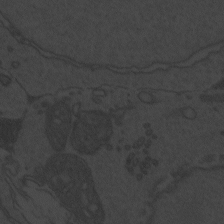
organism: Zebrafish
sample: Macrophage infected with Toxoplasma gondii